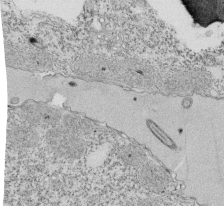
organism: Tetrahymena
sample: Cilia in tetrahymena